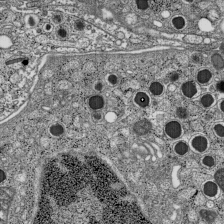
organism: C57BL Mouse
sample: Pancreatic islet